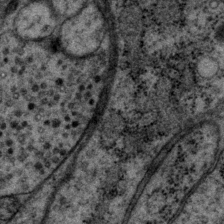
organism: P. pacificus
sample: Pharynx